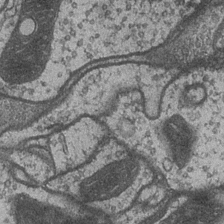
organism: Drosophila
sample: Optic medulla